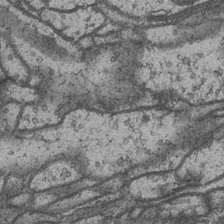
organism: Drosophila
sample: Optic medulla